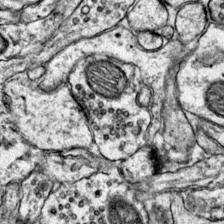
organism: Mouse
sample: Primary visual cortex